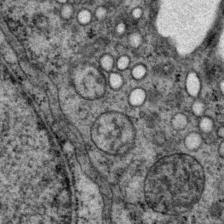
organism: P. pacificus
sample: Pharynx